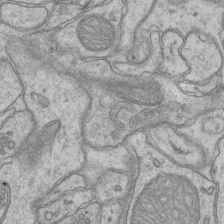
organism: Mouse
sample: CA1 Hippocampus